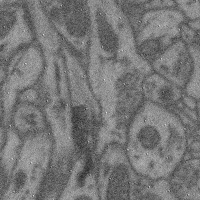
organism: Mouse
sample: Cerebral cortex